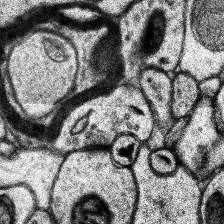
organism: Human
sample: Temporal Lobe